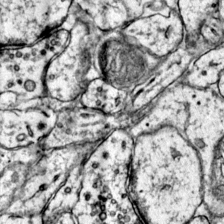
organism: Mouse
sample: Primary visual cortex